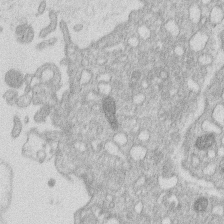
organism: Human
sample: Macrophage cells